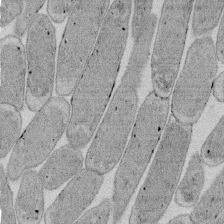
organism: E. coli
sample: Bacterial nucleoid